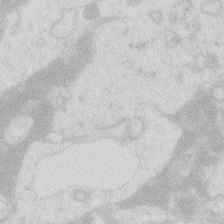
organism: Zebrafish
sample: Macrophage